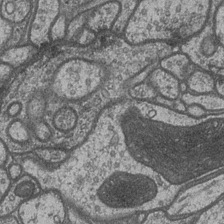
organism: Drosophila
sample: Optic medulla